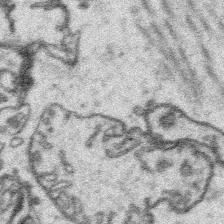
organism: Platynereis dumerilii